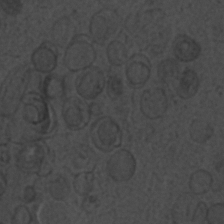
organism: C. elegans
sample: C. elegans embryo